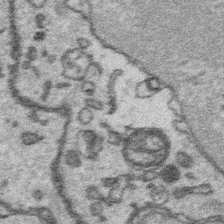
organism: Platynereis dumerilii